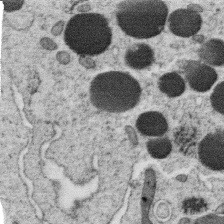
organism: C. elegans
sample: C. elegans oocyte; sperm cells